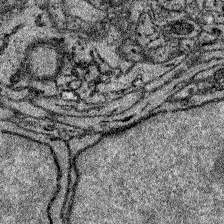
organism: Zebrafish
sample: Larval olfactory bulb